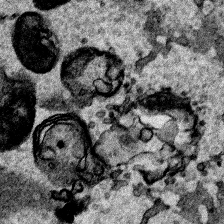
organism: Human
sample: Mitochondria in HCT116 cells